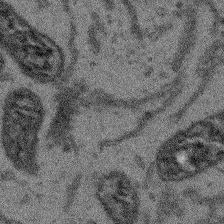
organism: Arabidopsis thaliana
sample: Root tip